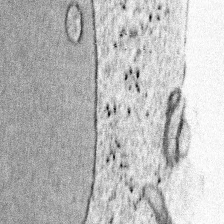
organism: Human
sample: HeLa cells